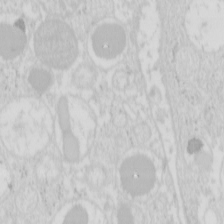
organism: Mouse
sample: Pancreas